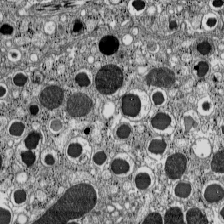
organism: C57BL Mouse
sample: Pancreatic islet